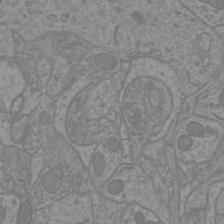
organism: Mouse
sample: Cortical neurons